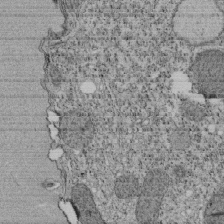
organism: Tetrahymena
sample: Cilia in tetrahymena